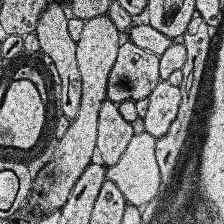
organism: Human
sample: Temporal Lobe